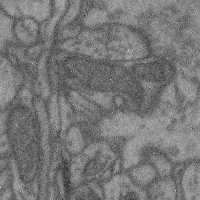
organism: Mouse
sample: Cerebral cortex